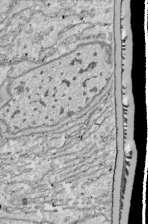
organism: Drosophila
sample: Cell division; meiosis; drosophila spermatocytes